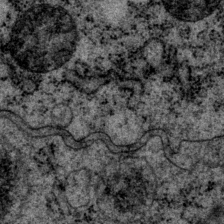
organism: P. pacificus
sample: Pharynx